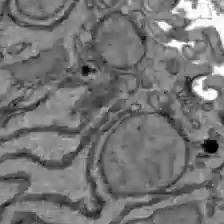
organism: C57BL Mouse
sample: Liver